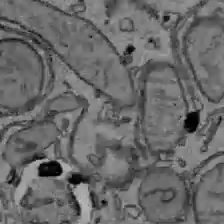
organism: C57BL Mouse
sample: Liver